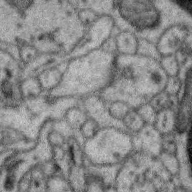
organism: Zebra finch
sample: Brain